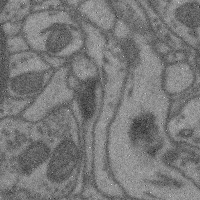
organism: Mouse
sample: Cerebral cortex